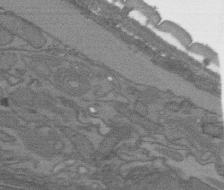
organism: C. elegans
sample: AFD neurons C. elegans